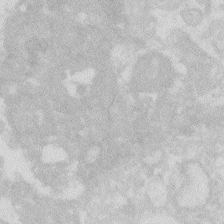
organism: Zebrafish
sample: Macrophage